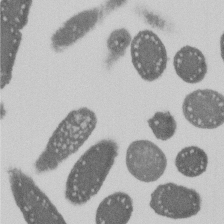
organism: E. coli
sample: Bacterial nucleoid